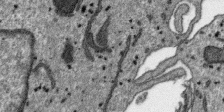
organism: Human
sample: Lung epithelial cells, uninfected (mock) control